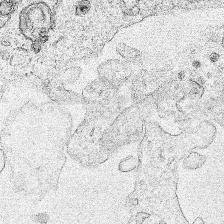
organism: Human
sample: Mitochondria in HCT116 cells